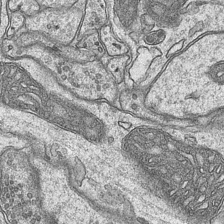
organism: Mouse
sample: CA1 Hippocampus